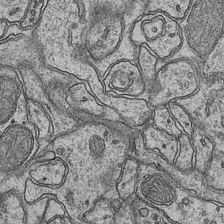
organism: Mouse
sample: CA1 Hippocampus